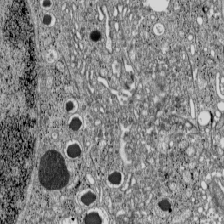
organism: C57BL Mouse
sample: Pancreatic islet